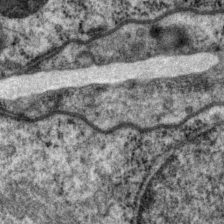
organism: P. pacificus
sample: Pharynx